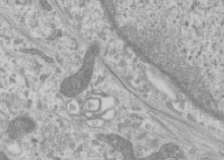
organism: Human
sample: Cilia; basal body in RPE cells